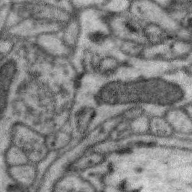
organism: Zebra finch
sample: Brain